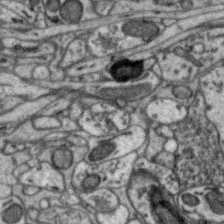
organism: Zebra finch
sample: Brain